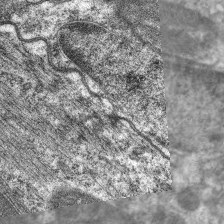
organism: C. elegans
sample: Pharynx